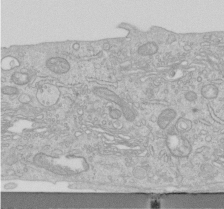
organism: Human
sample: Centriole in RPE cells